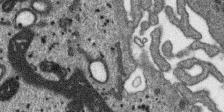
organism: Human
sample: Lung epithelial cells infected with SARS-CoV-2